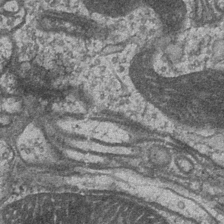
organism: Drosophila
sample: Optic medulla